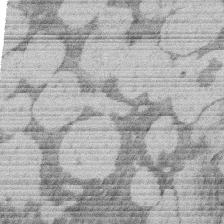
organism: Rat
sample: Salivary granule